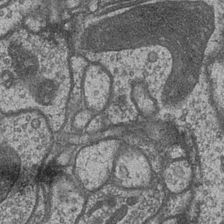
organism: Drosophila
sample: Optic medulla